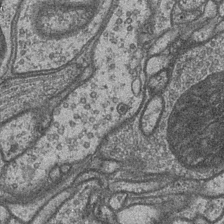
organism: Drosophila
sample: Optic medulla